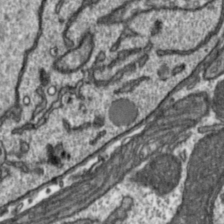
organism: Toxoplasma gondii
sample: Parasites in a vacuole inside a host cell